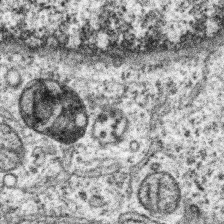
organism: Human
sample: HeLa cells